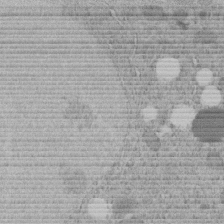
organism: C. elegans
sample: C. elegans embryo early stage